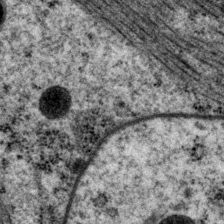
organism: P. pacificus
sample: Pharynx